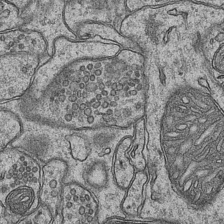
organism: Mouse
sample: CA1 Hippocampus